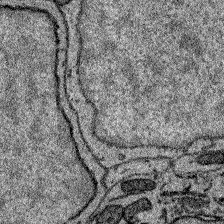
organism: Zebrafish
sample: Larval olfactory bulb